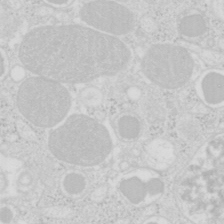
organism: Mouse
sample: Pancreas